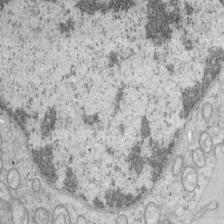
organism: Mouse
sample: OT-I killer T cells with ID8 ovarian cancer cells